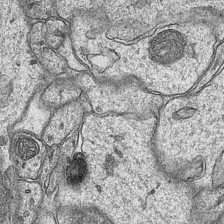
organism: Mouse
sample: CA1 Hippocampus